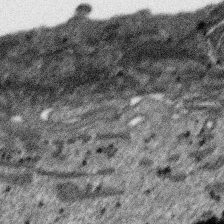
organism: Human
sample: Lung epithelial cells infected with SARS-CoV-2